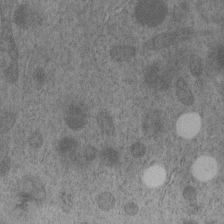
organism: C. elegans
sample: C. elegans embryo early stage